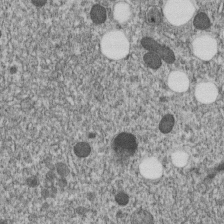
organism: C. elegans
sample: C. elegans embryo early stage